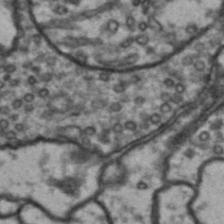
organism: Drosophila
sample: Brain